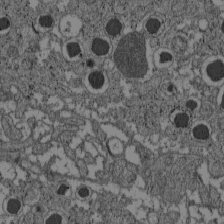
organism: C57BL Mouse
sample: Pancreatic islet